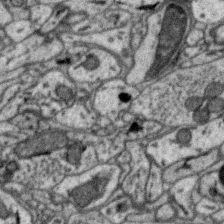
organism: Zebra finch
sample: Brain